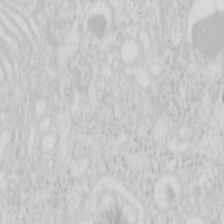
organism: Mouse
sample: Pancreas